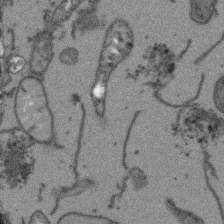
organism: Arabidopsis thaliana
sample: Root tip